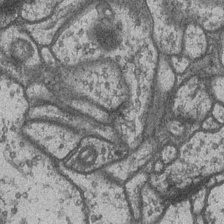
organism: Drosophila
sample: Optic medulla